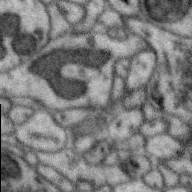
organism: Zebra finch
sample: Brain